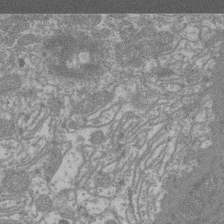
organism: Mouse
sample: Glomerulus